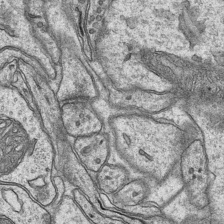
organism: Mouse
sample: CA1 Hippocampus